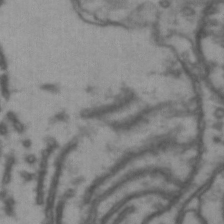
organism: Drosophila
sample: Brain